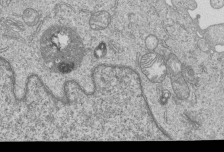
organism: Human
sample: MDA-MB-231 cells